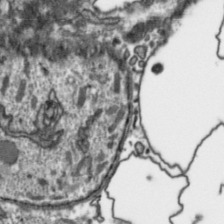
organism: Toxoplasma gondii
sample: Parasites in a vacuole inside a host cell